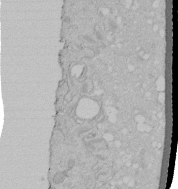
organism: Human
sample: Melanocyte Keratinocyte synapse skin construct